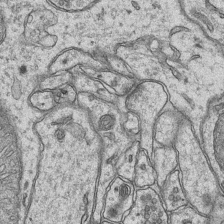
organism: Mouse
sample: CA1 Hippocampus